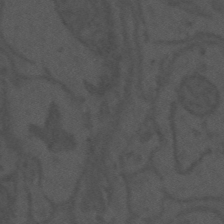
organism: Mouse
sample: Suprachiasmatic nucleus